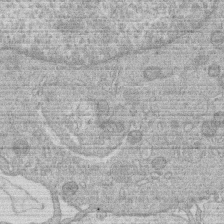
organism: Human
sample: Macrophage cells